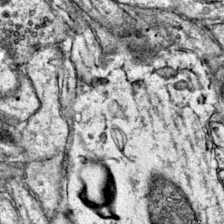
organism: Mouse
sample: Primary visual cortex